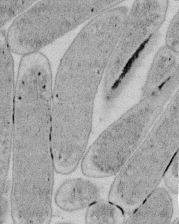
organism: E. coli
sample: Bacterial nucleoid